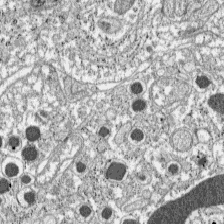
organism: C57BL Mouse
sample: Pancreatic islet